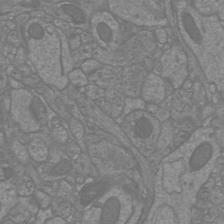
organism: Mouse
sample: Cortical neurons